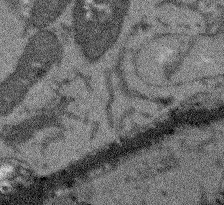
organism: Arabidopsis thaliana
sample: Root tip